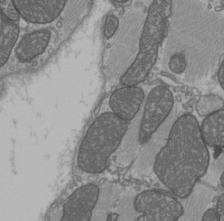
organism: C57BL Mouse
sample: Heart